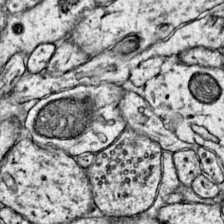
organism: Mouse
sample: Primary visual cortex